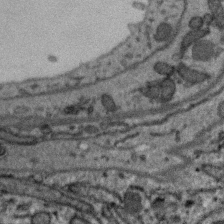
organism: Zebra finch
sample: Brain